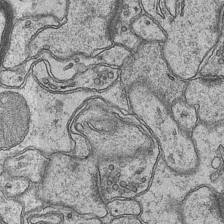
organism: Mouse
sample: CA1 Hippocampus